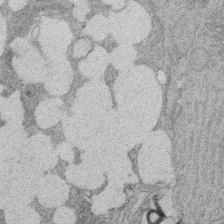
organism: Rat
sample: Salivary granule